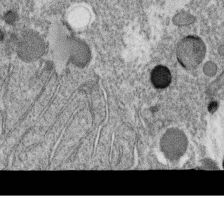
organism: C. elegans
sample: C. elegans oocyte; sperm cells